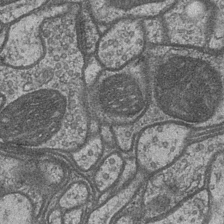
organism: Drosophila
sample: Optic medulla